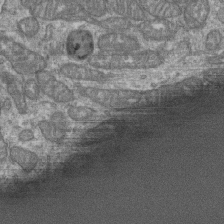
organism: Human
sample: Retinal organoid Rod and Cone cells